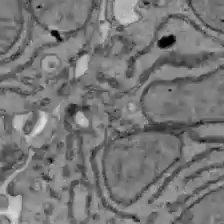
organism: C57BL Mouse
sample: Liver